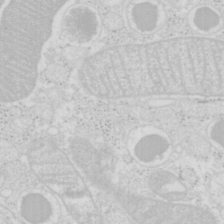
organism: Mouse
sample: Pancreas